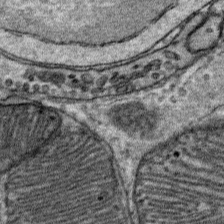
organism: Mouse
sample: Mouse Salivary gland